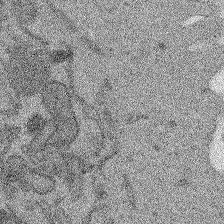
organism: Human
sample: HeLa cells